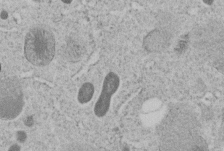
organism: C. elegans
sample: C. elegans embryo early stage